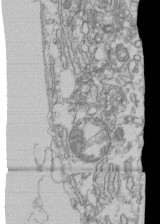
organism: Human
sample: Fibroblast cells